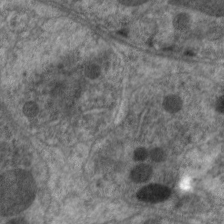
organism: C. elegans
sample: Pharynx